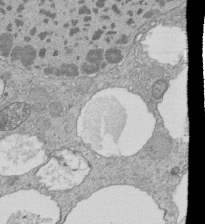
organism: Tetrahymena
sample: Cilia in tetrahymena